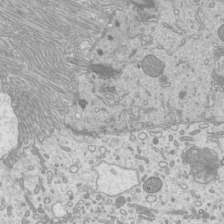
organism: Mouse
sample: Cilia; mouse epididymis